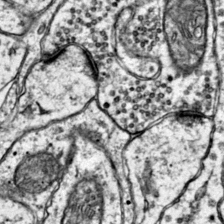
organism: Mouse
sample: Primary visual cortex